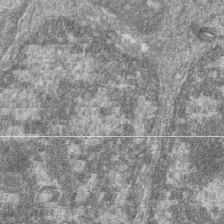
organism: Zebrafish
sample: Cilia; retinal pigment epithelium